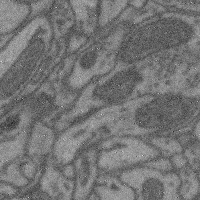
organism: Mouse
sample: Cerebral cortex